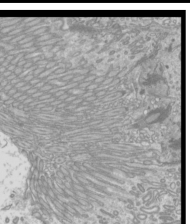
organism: Mouse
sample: Cilia; mouse epididymis